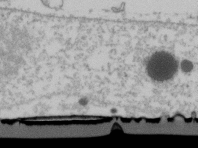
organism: Human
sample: U2-OS cells